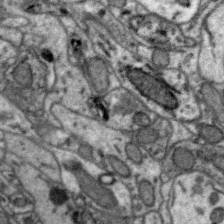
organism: Zebra finch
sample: Brain